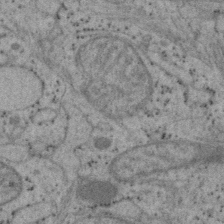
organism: Human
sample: HeLa cells